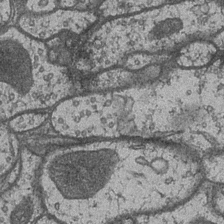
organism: Drosophila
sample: Optic medulla